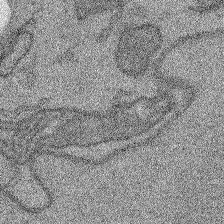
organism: Human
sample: HeLa cells